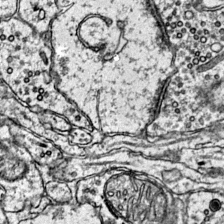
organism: Mouse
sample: Primary visual cortex